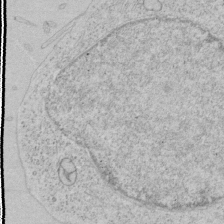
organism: Human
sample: Mitochondria in HCT116 cells